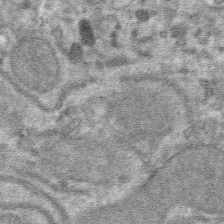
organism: Mouse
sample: Mouse hepatocytes